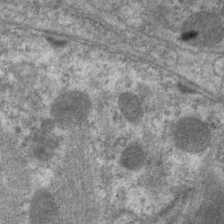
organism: C. elegans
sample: Pharynx